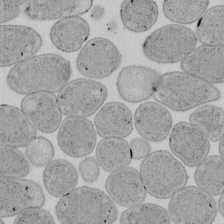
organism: E. coli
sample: Bacterial nucleoid